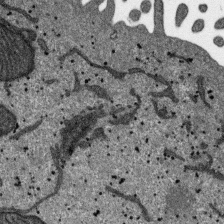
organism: Human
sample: Lung epithelial cells, uninfected (mock) control